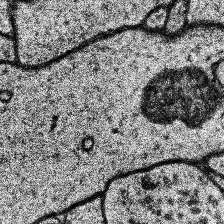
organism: Human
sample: Temporal Lobe